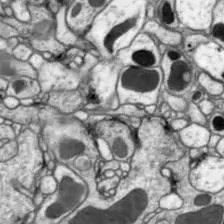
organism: Drosophila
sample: Optic lobe